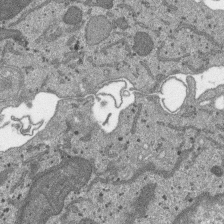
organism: Human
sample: Lung epithelial cells infected with SARS-CoV-2